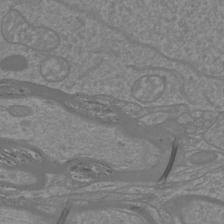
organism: Mouse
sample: Cortical neurons